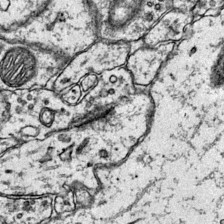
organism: Mouse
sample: Primary visual cortex